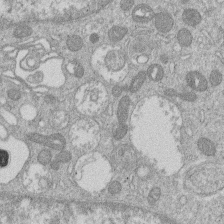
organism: Human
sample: Macrophage cells